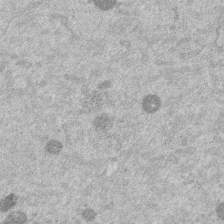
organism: Mouse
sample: Dividing mouse embryo 1 cell stage